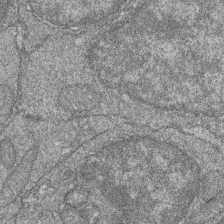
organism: Zebrafish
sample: Cilia; retinal pigment epithelium